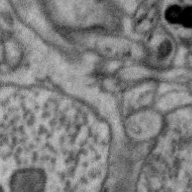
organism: Zebra finch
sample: Brain